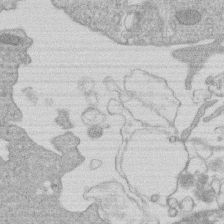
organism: Human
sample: Macrophage cells